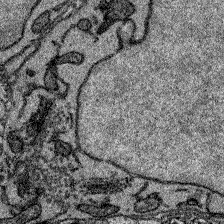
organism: Zebrafish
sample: Larval olfactory bulb